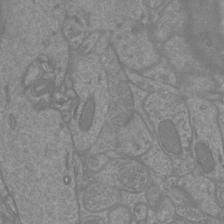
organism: Mouse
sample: Cortical neurons